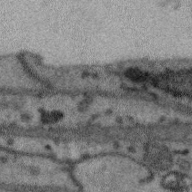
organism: Zebra finch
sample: Brain